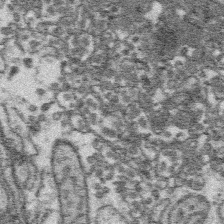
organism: Platynereis dumerilii